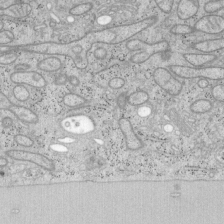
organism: Mouse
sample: OT-I killer T cells with ID8 ovarian cancer cells